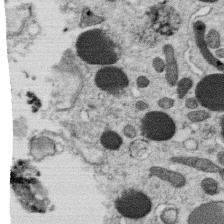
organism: C. elegans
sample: C. elegans oocyte; sperm cells